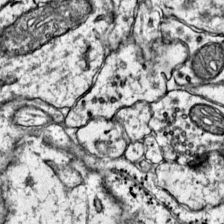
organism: Mouse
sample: Primary visual cortex